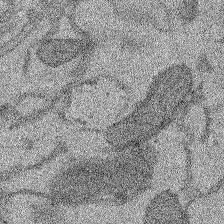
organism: Human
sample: HeLa cells